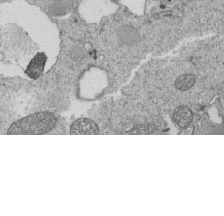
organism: Tetrahymena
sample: Cilia in tetrahymena